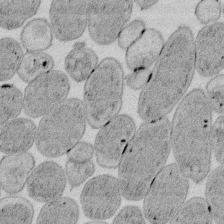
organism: E. coli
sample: Bacterial nucleoid